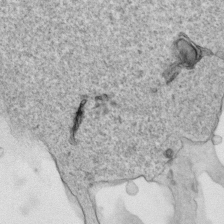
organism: Human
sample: Mitochondria in HCT116 cells